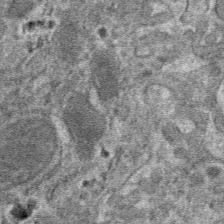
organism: Mouse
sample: Mouse hepatocytes